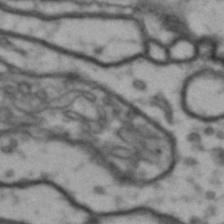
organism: Drosophila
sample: Brain